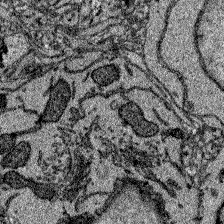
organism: Zebrafish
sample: Larval olfactory bulb